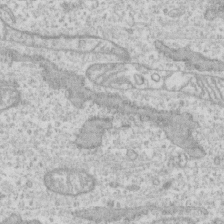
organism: Human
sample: CRL-1474